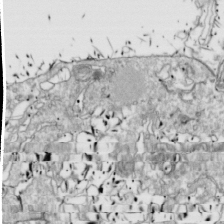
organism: Drosophila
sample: Cell division; meiosis; drosophila spermatocytes